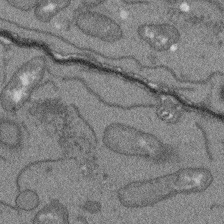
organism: Arabidopsis thaliana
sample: Root tip